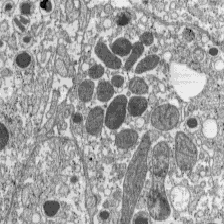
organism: C57BL Mouse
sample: Pancreatic islet